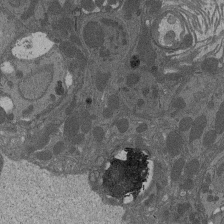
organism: Drosophila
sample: Antenna